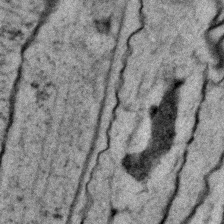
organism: C. elegans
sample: C. elegans embryo